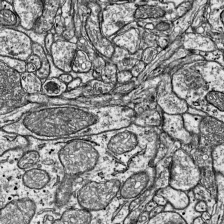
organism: Mouse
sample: Visual Cortex